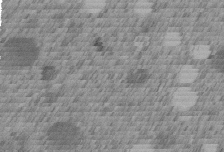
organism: C. elegans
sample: C. elegans embryo early stage